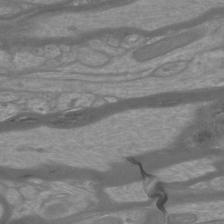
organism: Mouse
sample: Cortical neurons